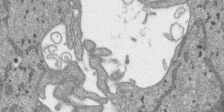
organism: Human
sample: Lung epithelial cells infected with SARS-CoV-2